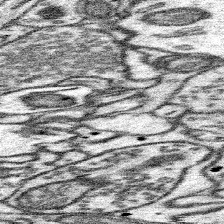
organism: Mouse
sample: Somatosensory cortex neuropil